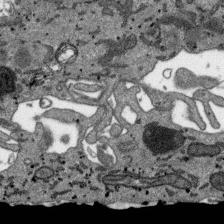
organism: Human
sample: Lung epithelial cells, uninfected (mock) control